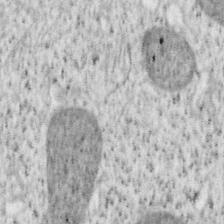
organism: Mouse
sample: OT-I killer T cells with ID8 ovarian cancer cells